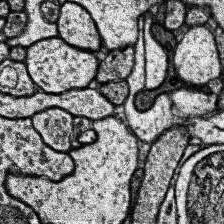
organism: Human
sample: Temporal Lobe